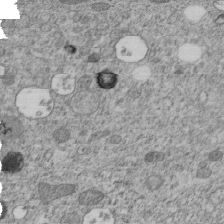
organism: C. elegans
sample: C. elegans embryo early stage